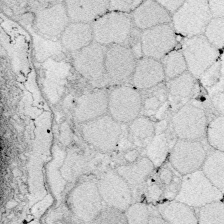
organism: Zebrafish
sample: Whole-Brain